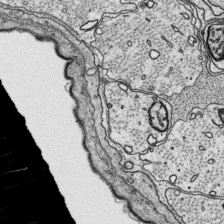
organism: Platynereis dumerilii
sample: Parapodia